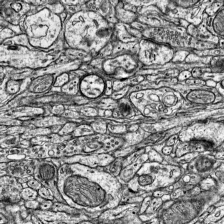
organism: Mouse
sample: Visual Cortex